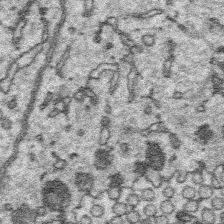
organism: Platynereis dumerilii